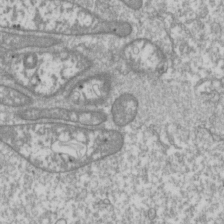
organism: Drosophila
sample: Cell division; meiosis; drosophila spermatocytes